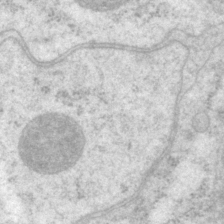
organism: P. pacificus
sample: Pharynx